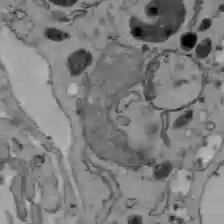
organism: C57BL Mouse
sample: Liver